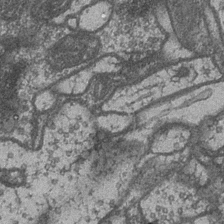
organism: Drosophila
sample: Optic medulla